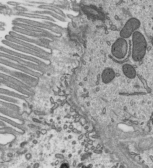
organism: Mouse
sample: Mouse epididymis efferent ductule cilia